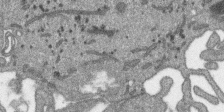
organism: Human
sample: Lung epithelial cells infected with SARS-CoV-2